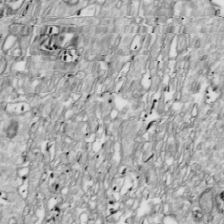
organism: Drosophila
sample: Cell division; meiosis; drosophila spermatocytes